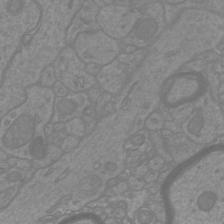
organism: Mouse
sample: Cortical neurons